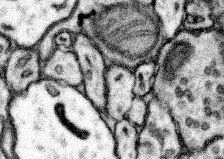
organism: Mouse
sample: Somatosensory cortex neuropil